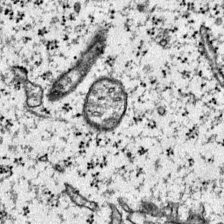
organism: Mouse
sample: Primary visual cortex